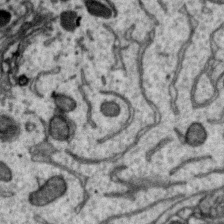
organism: Zebra finch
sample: Brain